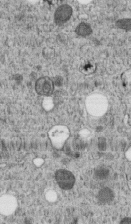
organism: C. elegans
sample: C. elegans embryo early stage